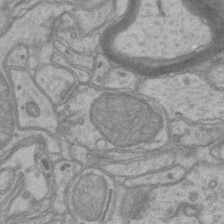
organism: Mouse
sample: CA1 Hippocampus